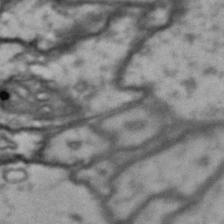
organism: Drosophila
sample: Brain